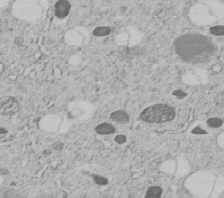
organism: C. elegans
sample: C. elegans embryo early stage